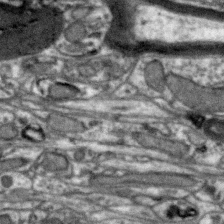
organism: Zebra finch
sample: Brain